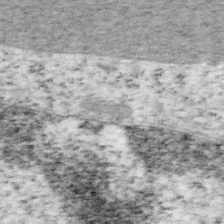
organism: Mouse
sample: OT-I killer T cells with ID8 ovarian cancer cells